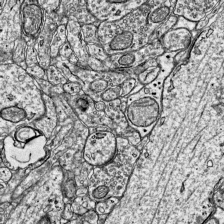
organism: Mouse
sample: Visual Cortex